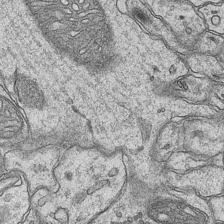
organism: Mouse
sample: CA1 Hippocampus